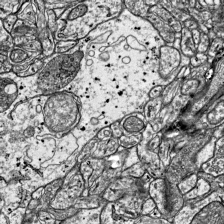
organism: Mouse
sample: Visual Cortex